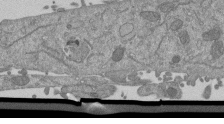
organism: Mouse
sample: ED-1 cell nuclei; centrioles